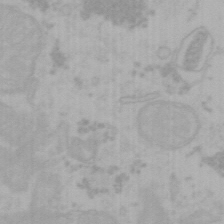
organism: Mouse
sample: Choroid plexus